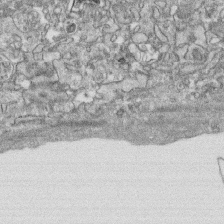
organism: Human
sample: CRL-1474